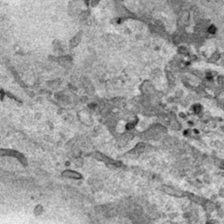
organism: Human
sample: Mitochondria in HCT116 cells